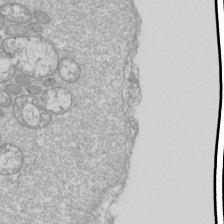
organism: Drosophila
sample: Cell division; meiosis; drosophila spermatocytes